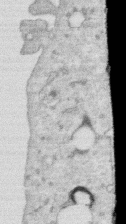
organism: Human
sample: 1205lu cells